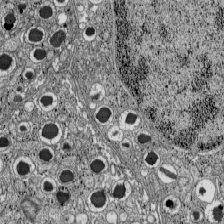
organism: C57BL Mouse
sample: Pancreatic islet